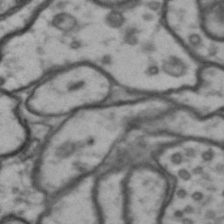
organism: Drosophila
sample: Brain